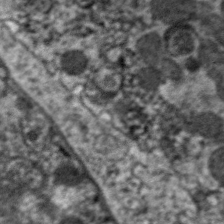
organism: C. elegans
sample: Pharynx